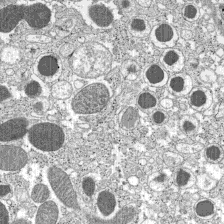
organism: C57BL Mouse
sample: Pancreatic islet